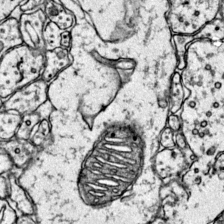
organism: Mouse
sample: Primary visual cortex